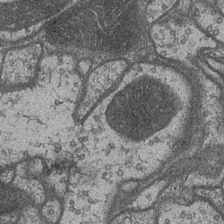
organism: Drosophila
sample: Optic medulla